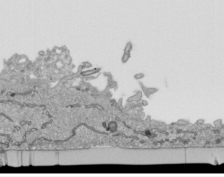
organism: Human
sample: Mitochondria in HCT116 cells